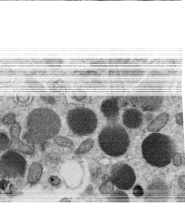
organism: C. elegans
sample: C. elegans oocyte; sperm cells